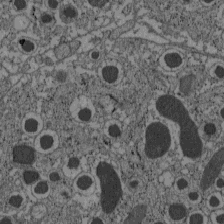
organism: C57BL Mouse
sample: Pancreatic islet